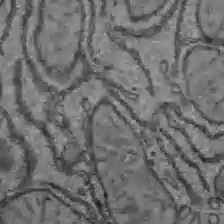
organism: C57BL Mouse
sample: Liver